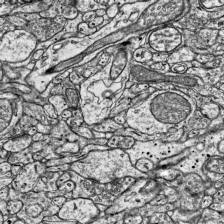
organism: Mouse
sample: Visual Cortex